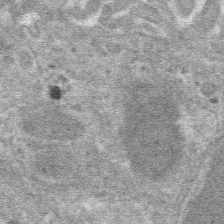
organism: Mouse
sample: Mouse hepatocytes